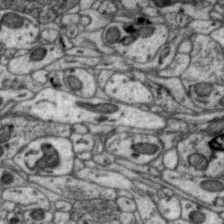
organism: Zebra finch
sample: Brain